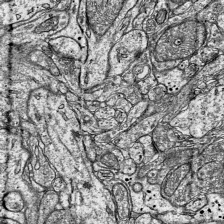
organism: Mouse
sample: Visual Cortex